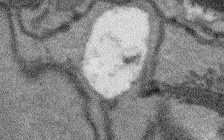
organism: Arabidopsis thaliana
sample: Root tip